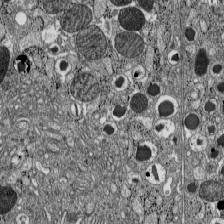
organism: C57BL Mouse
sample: Pancreatic islet